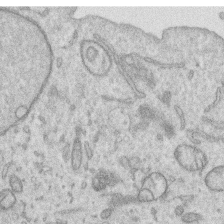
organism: Human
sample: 1205lu cells